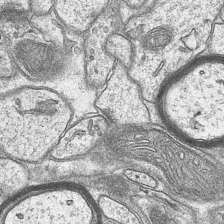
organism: Mouse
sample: CA1 Hippocampus